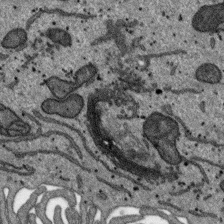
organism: Human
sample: Lung epithelial cells, uninfected (mock) control